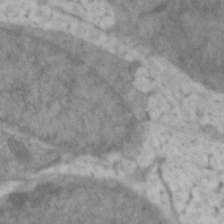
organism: Zebrafish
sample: Zebrafish embryo